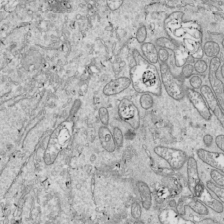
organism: Drosophila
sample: Cell division; meiosis; drosophila spermatocytes